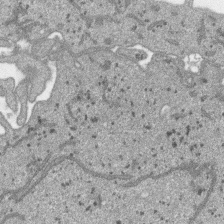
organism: Human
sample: Lung epithelial cells infected with SARS-CoV-2